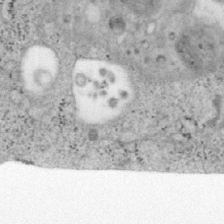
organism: Mouse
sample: OT-I killer T cells with ID8 ovarian cancer cells